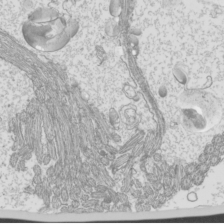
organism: Mouse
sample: Cilia; mouse epididymis